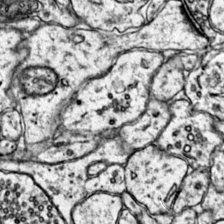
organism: Mouse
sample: Primary visual cortex